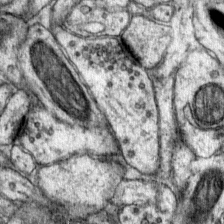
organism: Mouse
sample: Primary visual cortex